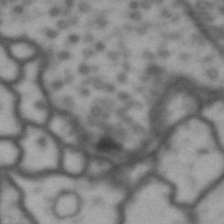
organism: Drosophila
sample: Brain